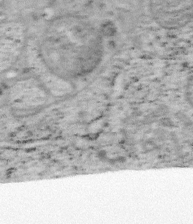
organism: Mouse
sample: OT-I killer T cells with ID8 ovarian cancer cells